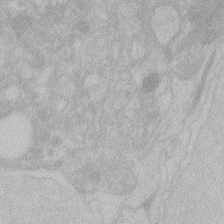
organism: Zebrafish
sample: Macrophage infected with Toxoplasma gondii